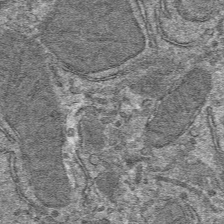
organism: Mouse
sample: Mouse hepatocytes